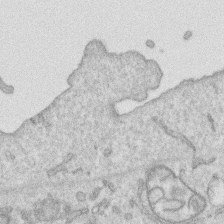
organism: Human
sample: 1205lu cells